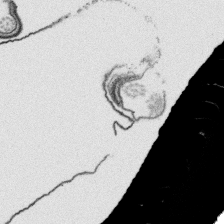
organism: Platynereis dumerilii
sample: Parapodia